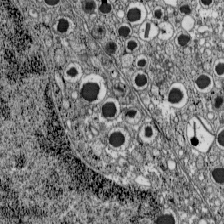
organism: C57BL Mouse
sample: Pancreatic islet